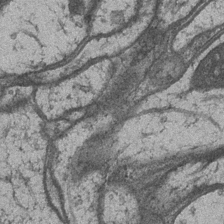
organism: Drosophila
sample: Optic medulla